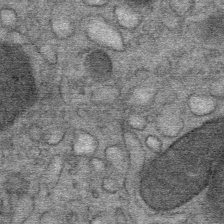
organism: Mouse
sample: Mouse Salivary gland